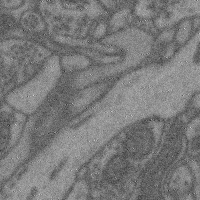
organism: Mouse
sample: Cerebral cortex